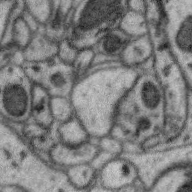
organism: Zebra finch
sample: Brain